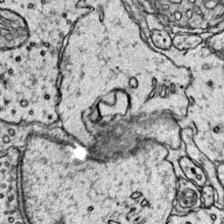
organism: Mouse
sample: Primary visual cortex